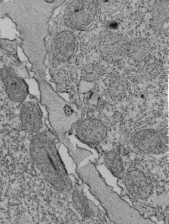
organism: Tetrahymena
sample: Cilia in tetrahymena